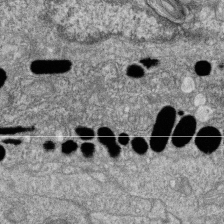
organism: Zebrafish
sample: Cilia; retinal pigment epithelium